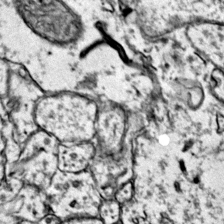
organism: Mouse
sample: Primary visual cortex